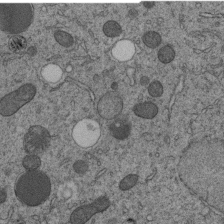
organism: C. elegans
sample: C. elegans embryo early stage